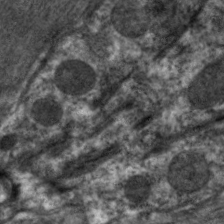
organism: C. elegans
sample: Pharynx